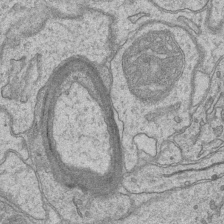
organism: Mouse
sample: CA1 Hippocampus